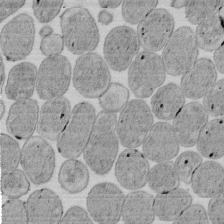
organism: E. coli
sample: Bacterial nucleoid